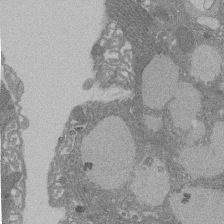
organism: Rat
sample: Salivary granule